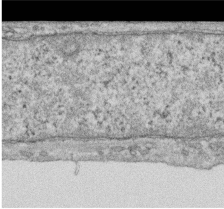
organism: Human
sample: Centriole in RPE cells